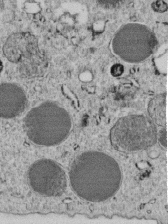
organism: C. elegans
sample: C. elegans embryo early stage